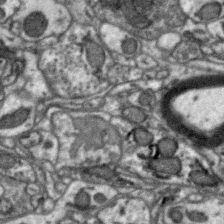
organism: Zebra finch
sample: Brain